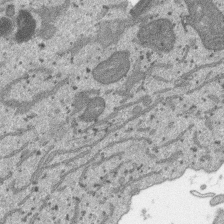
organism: Human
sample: Lung epithelial cells infected with SARS-CoV-2